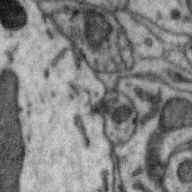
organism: Zebra finch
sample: Brain